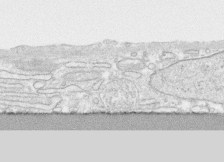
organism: Human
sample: CRL-1474